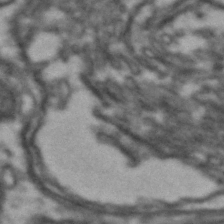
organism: Drosophila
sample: Brain